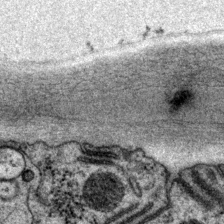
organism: P. pacificus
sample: Pharynx